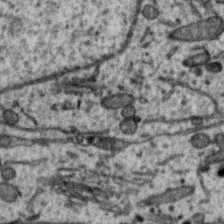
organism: Zebra finch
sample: Brain